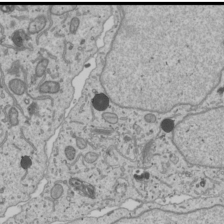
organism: Human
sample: Mitochondria in U2OS cells